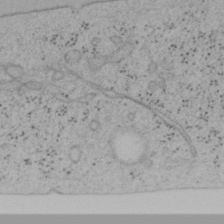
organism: Human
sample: HeLa cells